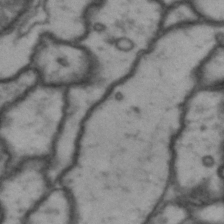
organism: Drosophila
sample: Brain